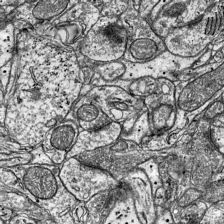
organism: Mouse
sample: Visual Cortex